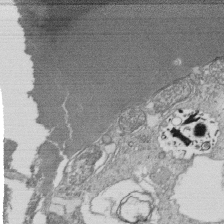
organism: Tetrahymena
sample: Cilia in tetrahymena